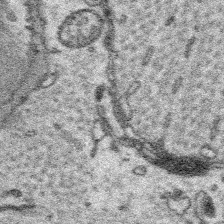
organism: Platynereis dumerilii